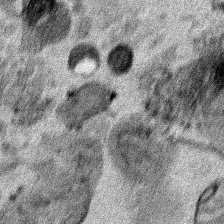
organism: Human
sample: Mitochondria in HCT116 cells